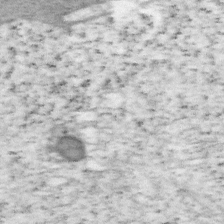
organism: Mouse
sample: OT-I killer T cells with ID8 ovarian cancer cells